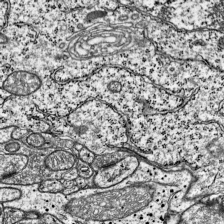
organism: Mouse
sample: Visual Cortex